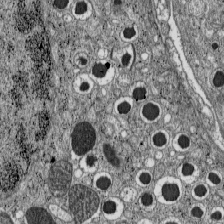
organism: C57BL Mouse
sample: Pancreatic islet